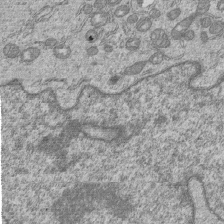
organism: Human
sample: MDA-MB-231 cells